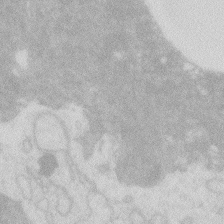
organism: Zebrafish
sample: Macrophage